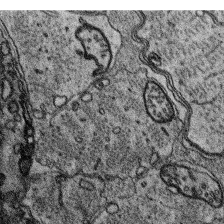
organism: Platynereis dumerilii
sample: Parapodia